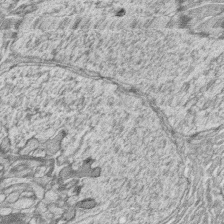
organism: Zebrafish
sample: synaptic ribbons in rod cells and cone cells